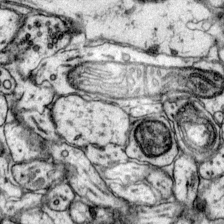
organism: Mouse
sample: Primary visual cortex